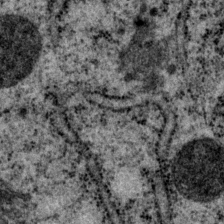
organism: P. pacificus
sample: Pharynx